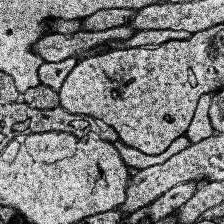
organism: Human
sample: Temporal Lobe